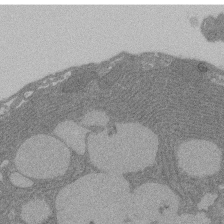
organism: Rat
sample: Salivary granule